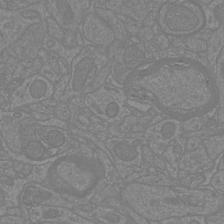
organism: Mouse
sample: Cortical neurons